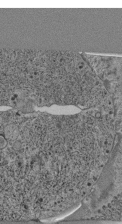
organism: C. elegans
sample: C. elegans pharynx